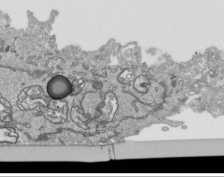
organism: Human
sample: Mitochondria in HCT116 cells